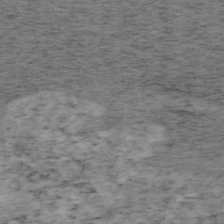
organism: Mouse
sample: OT-I killer T cells with ID8 ovarian cancer cells